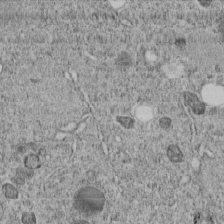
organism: C. elegans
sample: C. elegans embryo early stage